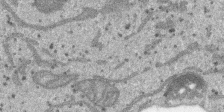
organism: Human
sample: Lung epithelial cells infected with SARS-CoV-2